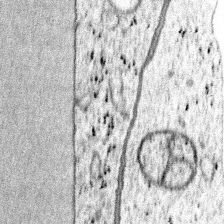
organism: Human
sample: HeLa cells